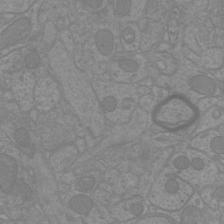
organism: Mouse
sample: Cortical neurons